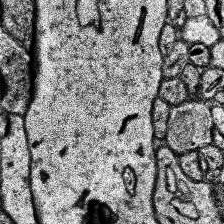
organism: Human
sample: Temporal Lobe